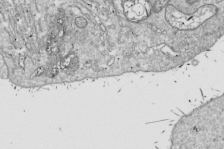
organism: Drosophila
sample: Cell division; meiosis; drosophila spermatocytes